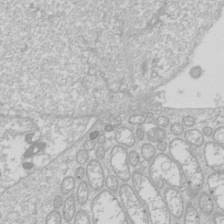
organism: Drosophila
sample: Cell division; meiosis; drosophila spermatocytes